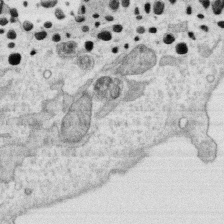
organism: Human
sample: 1205lu cells